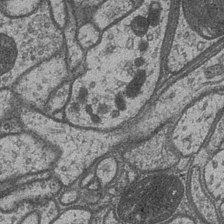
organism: Drosophila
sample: Optic medulla